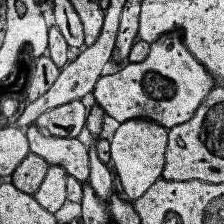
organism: Human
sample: Temporal Lobe